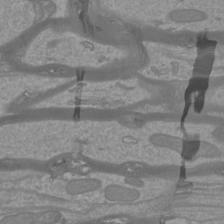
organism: Mouse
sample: Cortical neurons